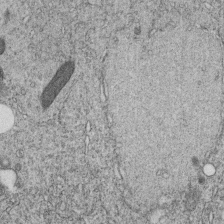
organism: C. elegans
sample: C. elegans embryo early stage